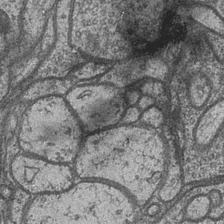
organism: Drosophila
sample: Optic medulla